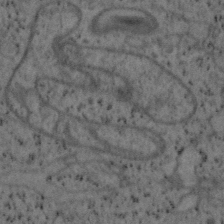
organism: Human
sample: HeLa cells